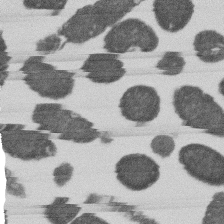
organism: E. coli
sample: Bacterial nucleoid